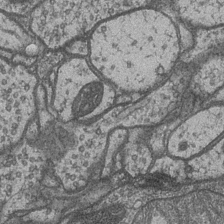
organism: Drosophila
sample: Optic medulla